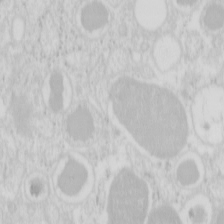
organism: Mouse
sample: Pancreas